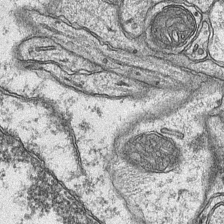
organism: Mouse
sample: CA1 Hippocampus